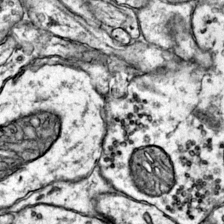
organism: Mouse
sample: Primary visual cortex